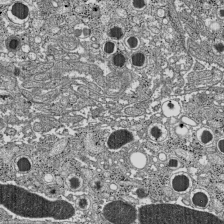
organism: C57BL Mouse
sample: Pancreatic islet